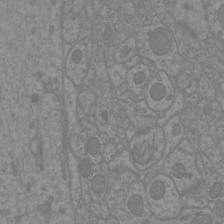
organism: Mouse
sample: Cortical neurons